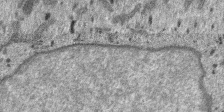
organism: Human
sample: Lung epithelial cells infected with SARS-CoV-2